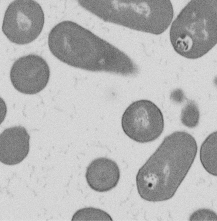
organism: B. subtilis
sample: Bacterial spore